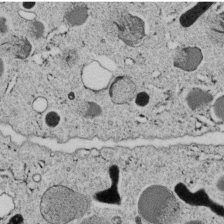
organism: C. elegans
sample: C. elegans embryo early stage